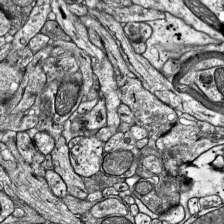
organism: Mouse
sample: Visual Cortex